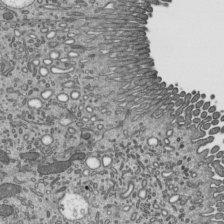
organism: Mouse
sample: Mouse epididymis efferent ductule cilia